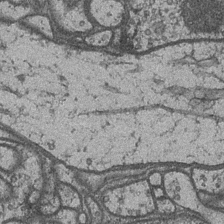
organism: Drosophila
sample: Optic medulla